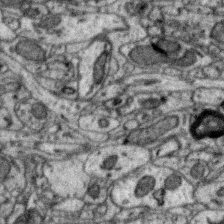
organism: Zebra finch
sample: Brain